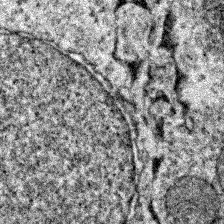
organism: Zebrafish